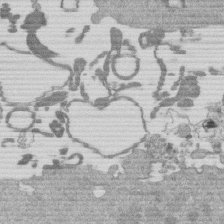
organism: Mouse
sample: Dividing mouse embryo 1 cell stage